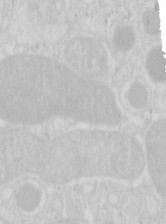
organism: Mouse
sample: Pancreas